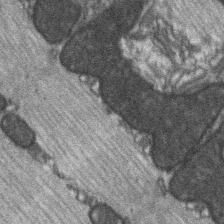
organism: C57BL Mouse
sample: Soleus